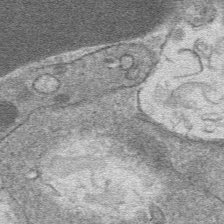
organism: Mouse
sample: Mouse hepatocytes